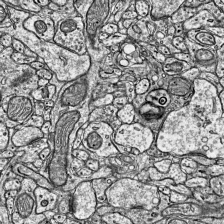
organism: Mouse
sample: Visual Cortex